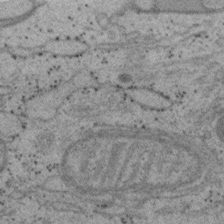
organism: Human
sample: HeLa cells